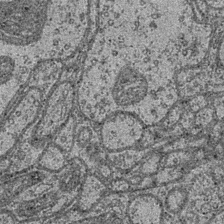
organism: Drosophila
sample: Optic medulla